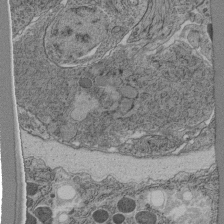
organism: C. elegans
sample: C. elegans pharynx